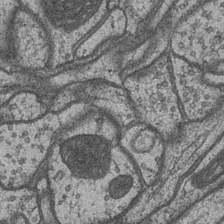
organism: Drosophila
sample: Optic medulla